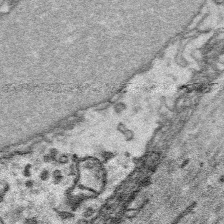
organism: Platynereis dumerilii